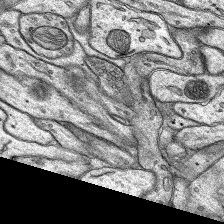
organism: Rat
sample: Hippocampus